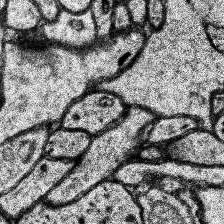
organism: Human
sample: Temporal Lobe